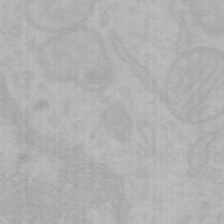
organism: Mouse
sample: Choroid plexus